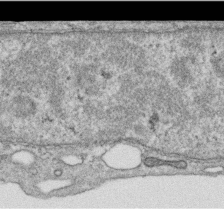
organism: Human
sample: Centriole in RPE cells